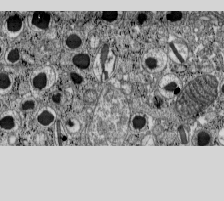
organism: C57BL Mouse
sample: Pancreatic islet